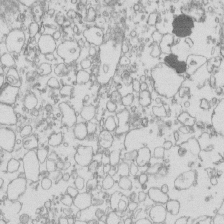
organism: Mouse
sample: Macrophages